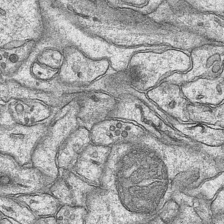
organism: Mouse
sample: CA1 Hippocampus